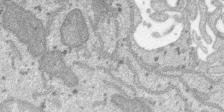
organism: Human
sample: Lung epithelial cells infected with SARS-CoV-2